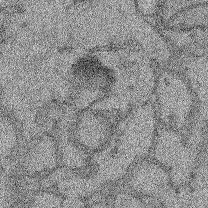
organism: Human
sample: HeLa cells